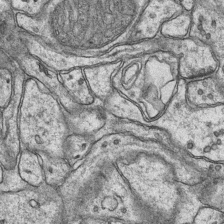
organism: Mouse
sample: CA1 Hippocampus